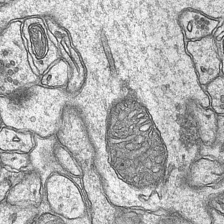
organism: Mouse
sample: CA1 Hippocampus